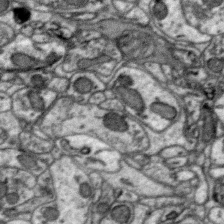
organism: Zebra finch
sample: Brain